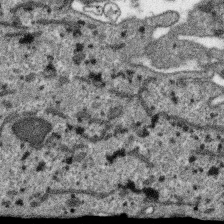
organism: Human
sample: Lung epithelial cells infected with SARS-CoV-2